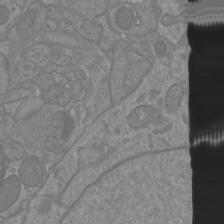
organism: Mouse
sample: Cortical neurons